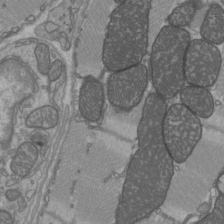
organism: C57BL Mouse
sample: Heart